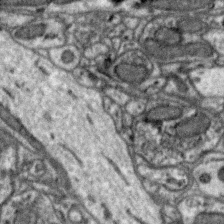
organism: Zebra finch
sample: Brain